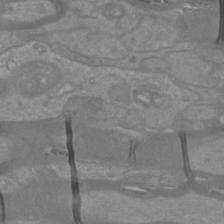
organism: Mouse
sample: Cortical neurons